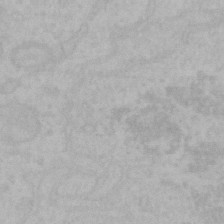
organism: Mouse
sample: Choroid plexus